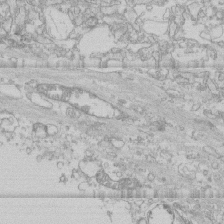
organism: Human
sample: CRL-1474